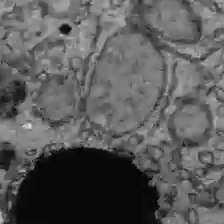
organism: C57BL Mouse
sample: Liver